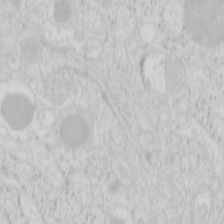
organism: Mouse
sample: Pancreas